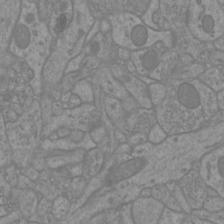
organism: Mouse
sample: Cortical neurons